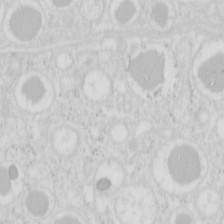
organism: Mouse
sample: Pancreas